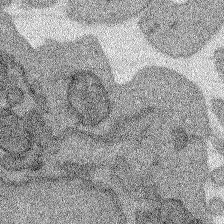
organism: Human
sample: HeLa cells